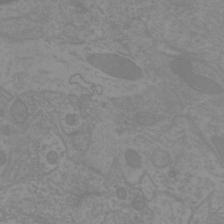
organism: Mouse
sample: Cortical neurons